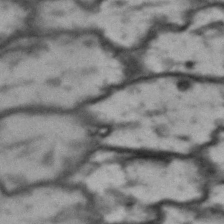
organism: Drosophila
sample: Brain